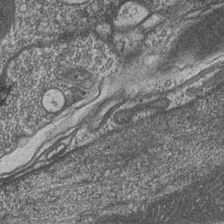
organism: Drosophila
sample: Optic medulla